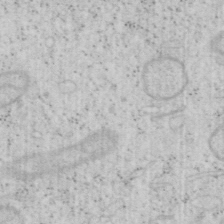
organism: Human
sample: HeLa cells